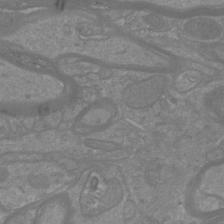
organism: Mouse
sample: Cortical neurons